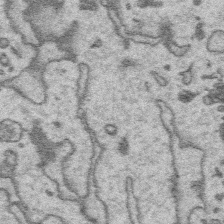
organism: Platynereis dumerilii